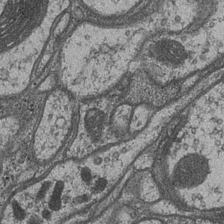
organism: Drosophila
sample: Optic medulla